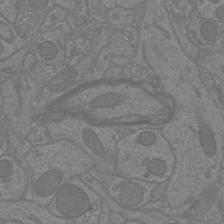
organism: Mouse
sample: Cortical neurons